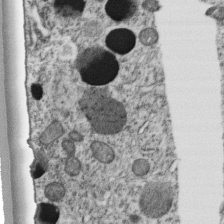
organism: C. elegans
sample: C. elegans embryo early stage